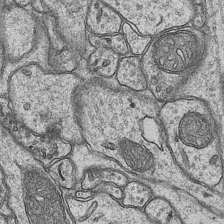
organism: Mouse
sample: CA1 Hippocampus